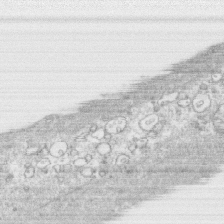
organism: Human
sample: CRL-1474